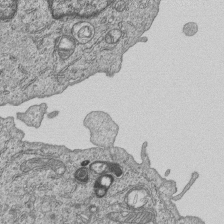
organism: Human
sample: MDA-MB-231 cells